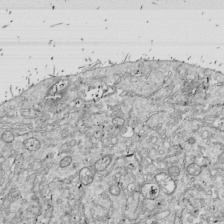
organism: Drosophila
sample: Cell division; meiosis; drosophila spermatocytes